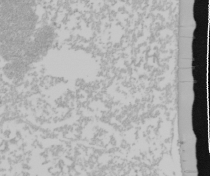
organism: Mouse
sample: Cancer cell death in ED-1 cells